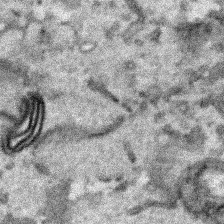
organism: Human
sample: Mitochondria in HCT116 cells